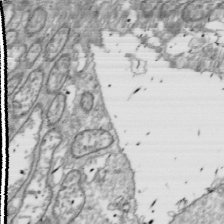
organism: Drosophila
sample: Cell division; meiosis; drosophila spermatocytes